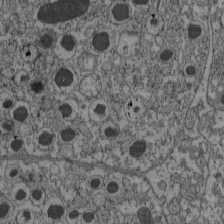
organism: C57BL Mouse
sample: Pancreatic islet